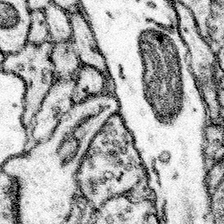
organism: Mouse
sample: Somatosensory cortex neuropil